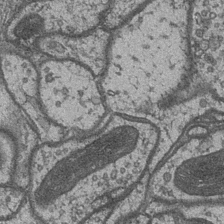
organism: Drosophila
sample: Optic medulla